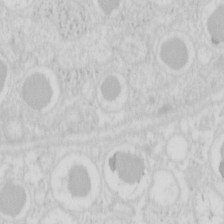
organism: Mouse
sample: Pancreas